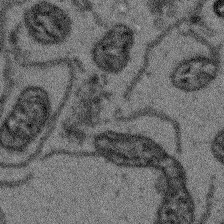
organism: Arabidopsis thaliana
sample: Root tip